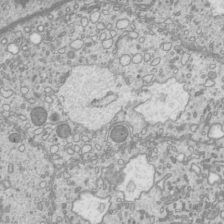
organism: Mouse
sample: Cilia; mouse epididymis